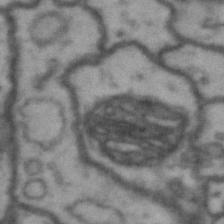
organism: Drosophila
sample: Brain